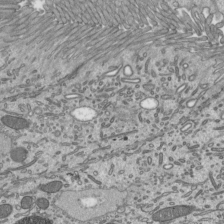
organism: Mouse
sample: Mouse epididymis efferent ductule cilia